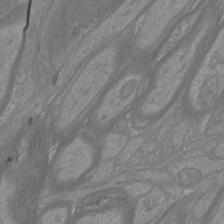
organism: Mouse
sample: Cortical neurons